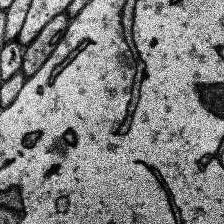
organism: Human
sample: Temporal Lobe